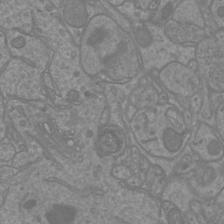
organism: Mouse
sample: Cortical neurons